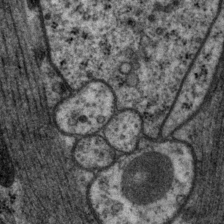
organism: P. pacificus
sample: Pharynx